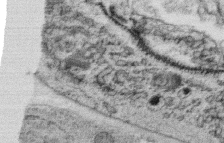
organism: C. elegans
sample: C. elegans oocyte; sperm cells